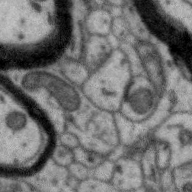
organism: Zebra finch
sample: Brain